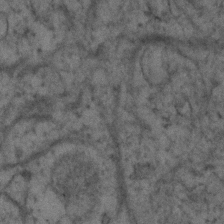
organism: Human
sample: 1205lu cells